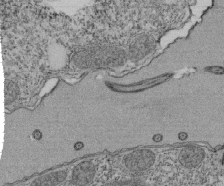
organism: Tetrahymena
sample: Cilia in tetrahymena